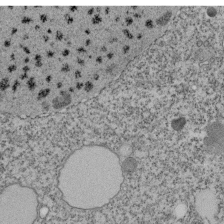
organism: Tetrahymena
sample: Cilia in tetrahymena